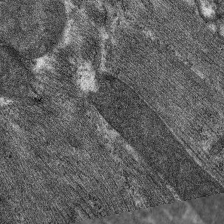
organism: C. elegans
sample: Pharynx